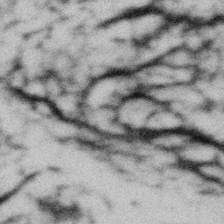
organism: Gemmata obscuriglobus